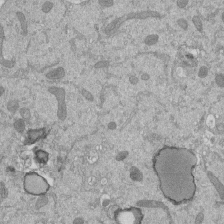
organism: Mouse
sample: ED-1 cell nuclei; centrioles